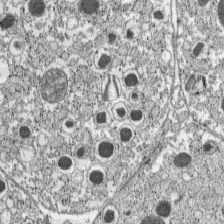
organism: C57BL Mouse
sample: Pancreatic islet